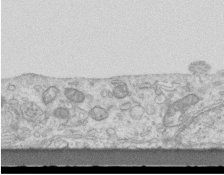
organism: Mouse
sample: Centriole in ependymal cells